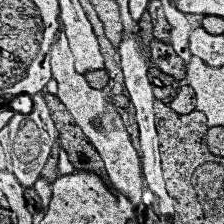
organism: Human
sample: Temporal Lobe